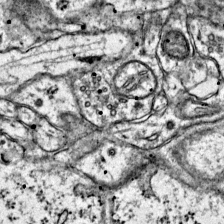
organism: Mouse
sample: Primary visual cortex